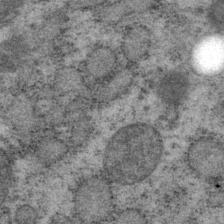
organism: P. pacificus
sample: Pharynx